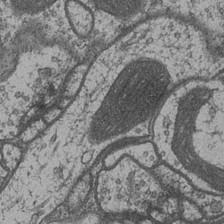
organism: Drosophila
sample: Optic medulla